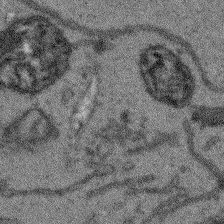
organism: Arabidopsis thaliana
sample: Root tip